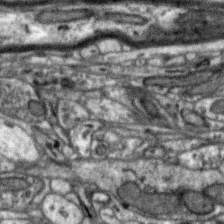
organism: Zebra finch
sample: Brain